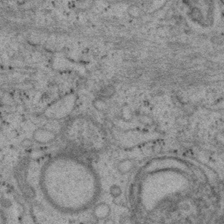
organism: Human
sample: HeLa cells